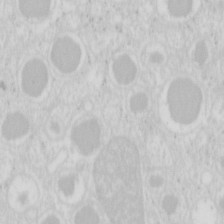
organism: Mouse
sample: Pancreas